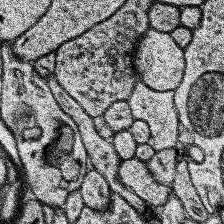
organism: Human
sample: Temporal Lobe